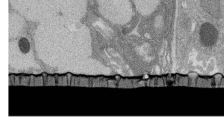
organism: Rat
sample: Salivary granule